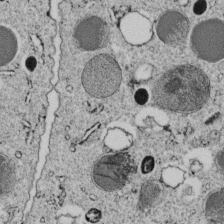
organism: C. elegans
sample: C. elegans embryo early stage